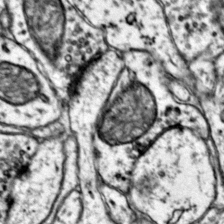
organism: Mouse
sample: Primary visual cortex